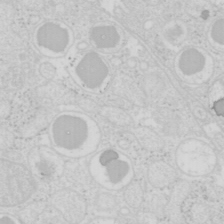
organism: Mouse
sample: Pancreas